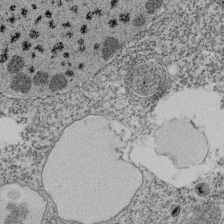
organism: Tetrahymena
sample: Cilia in tetrahymena